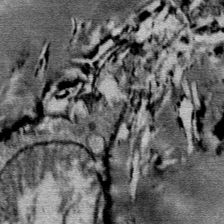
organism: Mouse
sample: Mouse Salivary gland